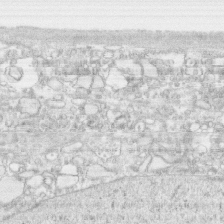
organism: Human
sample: CRL-1474